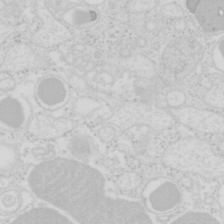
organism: Mouse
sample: Pancreas